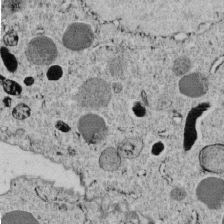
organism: C. elegans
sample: C. elegans embryo early stage